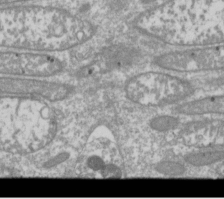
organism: Drosophila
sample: Cell division; meiosis; drosophila spermatocytes